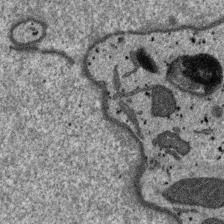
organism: Human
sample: Lung epithelial cells, uninfected (mock) control